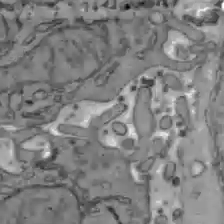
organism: C57BL Mouse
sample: Liver